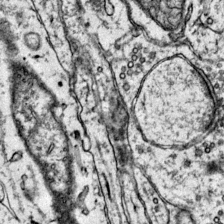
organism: Mouse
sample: Primary visual cortex